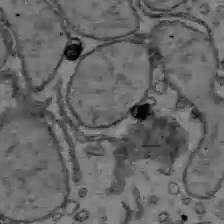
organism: C57BL Mouse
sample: Liver